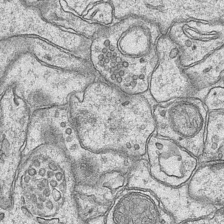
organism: Mouse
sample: CA1 Hippocampus